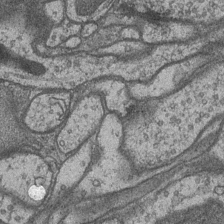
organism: Drosophila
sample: Optic medulla